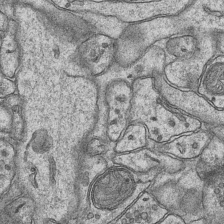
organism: Mouse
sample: CA1 Hippocampus